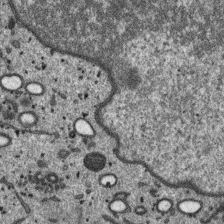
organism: Human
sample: Lung epithelial cells infected with SARS-CoV-2